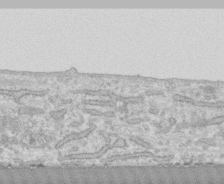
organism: Human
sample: CRL-1474